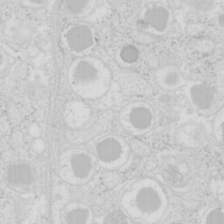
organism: Mouse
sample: Pancreas